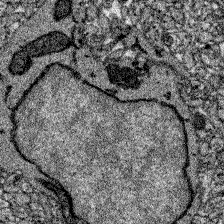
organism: Zebrafish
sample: Larval olfactory bulb